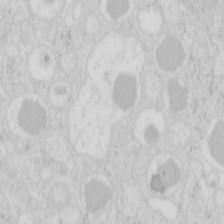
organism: Mouse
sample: Pancreas